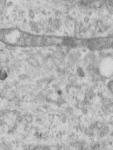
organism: Human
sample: Centriole in RPE cells